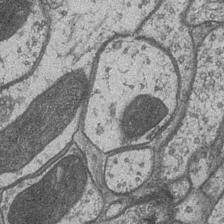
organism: Drosophila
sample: Optic medulla